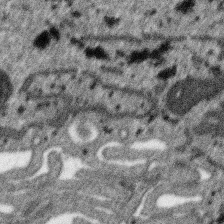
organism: Human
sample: Lung epithelial cells infected with SARS-CoV-2